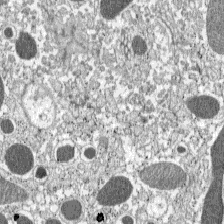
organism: C57BL Mouse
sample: Pancreatic islet